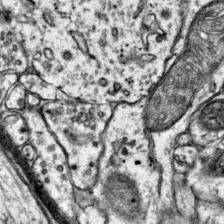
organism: Mouse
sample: Primary visual cortex